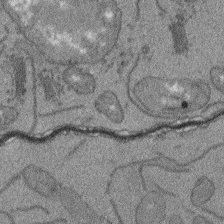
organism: Arabidopsis thaliana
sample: Root tip